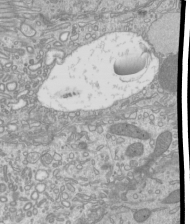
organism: Mouse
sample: Cilia; mouse epididymis